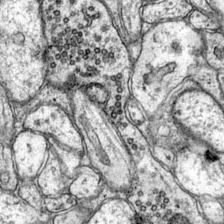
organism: Mouse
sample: Primary visual cortex